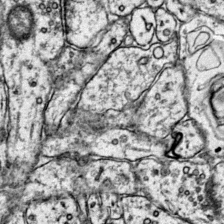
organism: Mouse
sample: Primary visual cortex